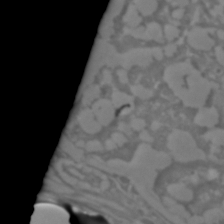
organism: C. elegans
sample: C. elegans embryo